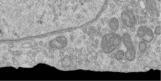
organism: Human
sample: Centriole in RPE cells